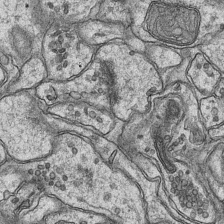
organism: Mouse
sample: CA1 Hippocampus